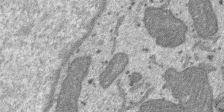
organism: Human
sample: Lung epithelial cells infected with SARS-CoV-2